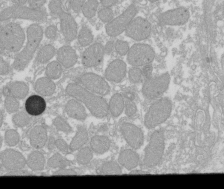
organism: Xenopus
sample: Cilia; centrioles in frog embryo cells